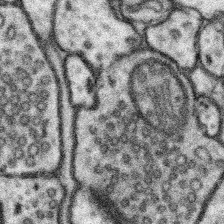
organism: Mouse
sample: Somatosensory cortex neuropil